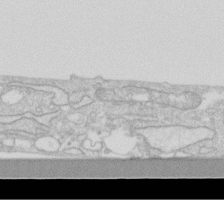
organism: Human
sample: Fibroblast cells